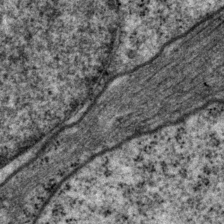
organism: P. pacificus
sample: Pharynx